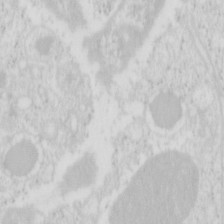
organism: Mouse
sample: Pancreas